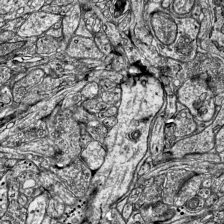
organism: Mouse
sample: Visual Cortex